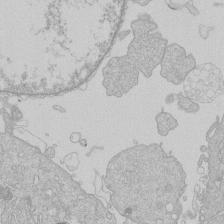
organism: Human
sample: Macrophage cells